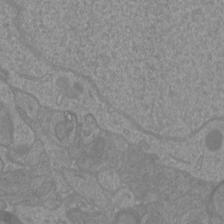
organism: Mouse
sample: Cortical neurons